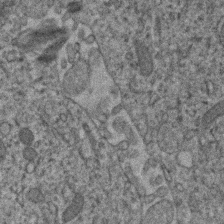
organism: Human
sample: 1205lu cells